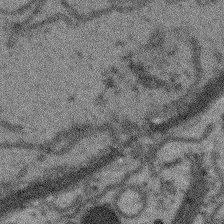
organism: Arabidopsis thaliana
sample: Root tip